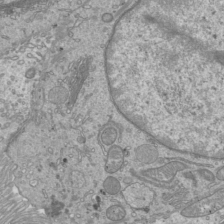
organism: Mouse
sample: Cilia; mouse epididymis